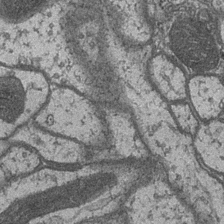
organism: Drosophila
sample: Optic medulla